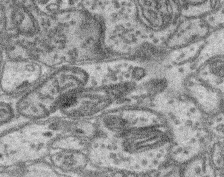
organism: Mouse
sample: Retina